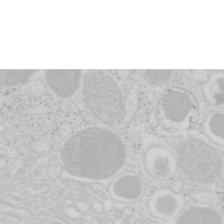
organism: Mouse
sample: Pancreas